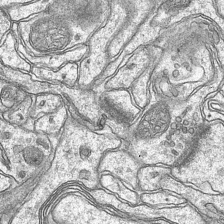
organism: Mouse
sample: CA1 Hippocampus